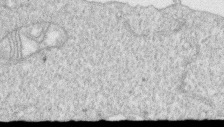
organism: Human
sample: HeLa cell HIV synapse